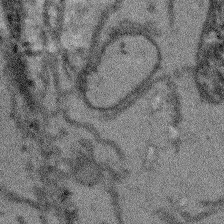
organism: Arabidopsis thaliana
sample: Root tip